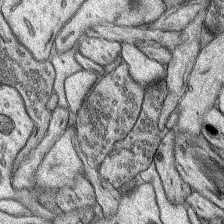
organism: Rat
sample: Hippocampus